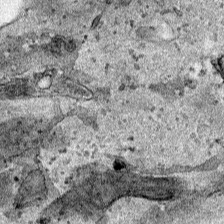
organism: Human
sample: Mitochondria in HCT116 cells